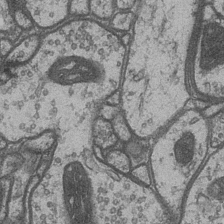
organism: Drosophila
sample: Optic medulla